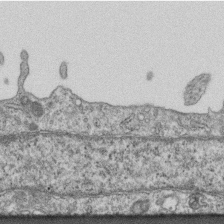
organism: Mouse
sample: Centriole in ependymal cells